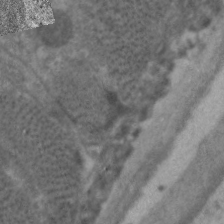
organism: C. elegans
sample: Pharynx